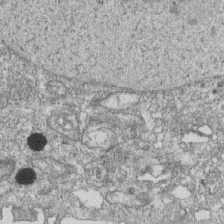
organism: Human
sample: HeLa cell HIV synapse